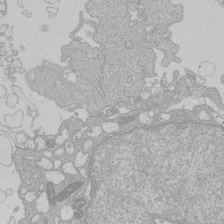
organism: Human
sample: Macrophage cells